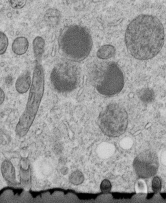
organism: C. elegans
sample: C. elegans embryo early stage